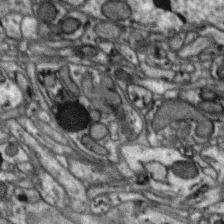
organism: Zebra finch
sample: Brain